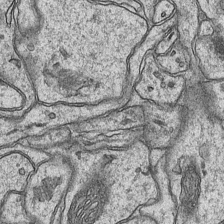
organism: Mouse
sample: CA1 Hippocampus